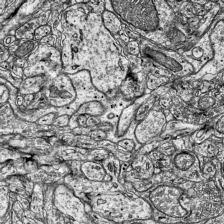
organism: Mouse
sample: Visual Cortex